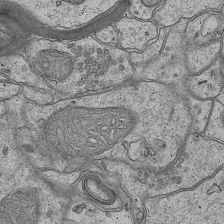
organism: Mouse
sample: CA1 Hippocampus